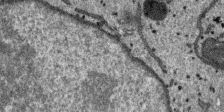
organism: Human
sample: Lung epithelial cells, uninfected (mock) control